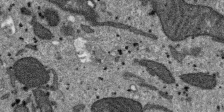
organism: Human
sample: Lung epithelial cells, uninfected (mock) control